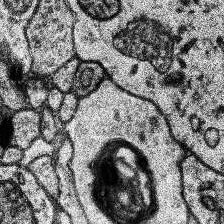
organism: Human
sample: Temporal Lobe